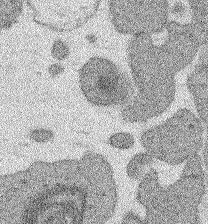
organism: Human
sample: HeLa cells